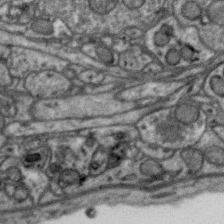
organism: Zebra finch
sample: Brain